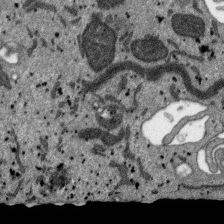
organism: Human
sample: Lung epithelial cells, uninfected (mock) control